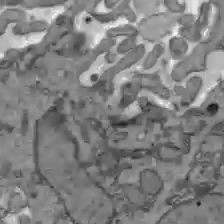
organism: C57BL Mouse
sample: Liver